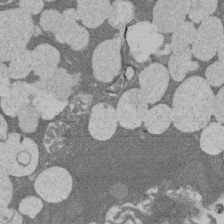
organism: Rat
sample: Salivary granule